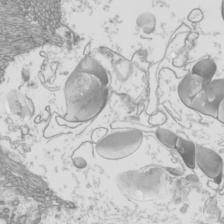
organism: Mouse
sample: Cilia; mouse epididymis